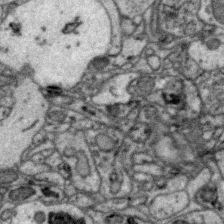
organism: Zebra finch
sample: Brain